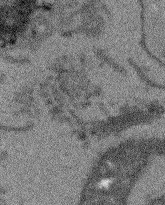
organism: Arabidopsis thaliana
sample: Root tip